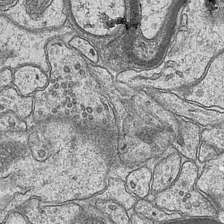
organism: Mouse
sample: CA1 Hippocampus